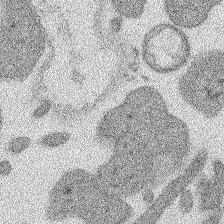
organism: Human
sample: HeLa cells